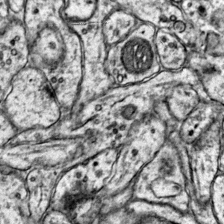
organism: Mouse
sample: Primary visual cortex